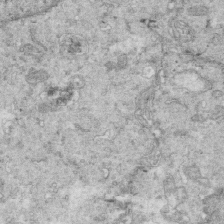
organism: Mouse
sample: Multiciliated cells